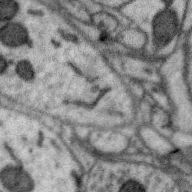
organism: Zebra finch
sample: Brain